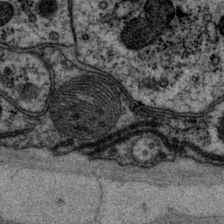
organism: P. pacificus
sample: Pharynx